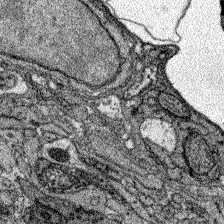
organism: Zebrafish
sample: Larval olfactory bulb